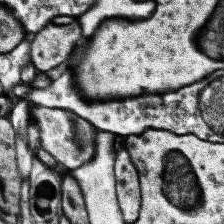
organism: Human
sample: Temporal Lobe